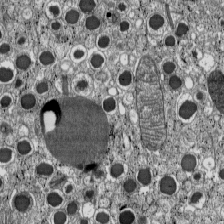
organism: C57BL Mouse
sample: Pancreatic islet